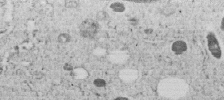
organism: C. elegans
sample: C. elegans embryo early stage